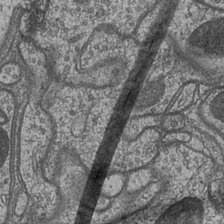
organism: Drosophila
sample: Optic medulla